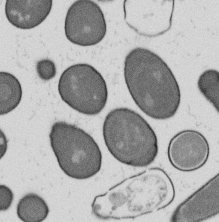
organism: B. subtilis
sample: Bacterial spore